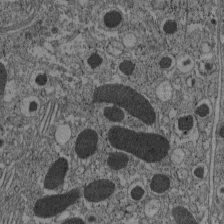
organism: C57BL Mouse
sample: Pancreatic islet